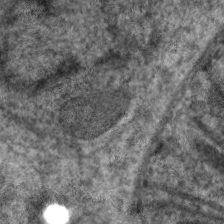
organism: C. elegans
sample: Pharynx